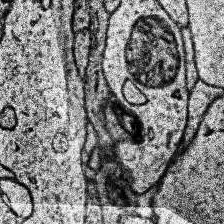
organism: Human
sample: Temporal Lobe